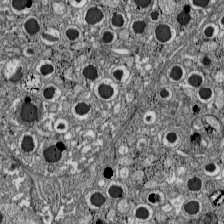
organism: C57BL Mouse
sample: Pancreatic islet